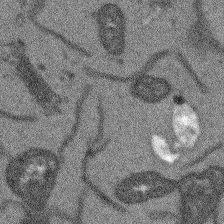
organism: Arabidopsis thaliana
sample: Root tip